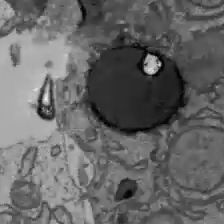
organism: C57BL Mouse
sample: Liver